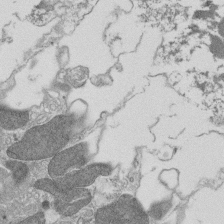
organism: Tetrahymena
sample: Cilia in tetrahymena